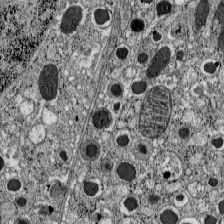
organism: C57BL Mouse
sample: Pancreatic islet